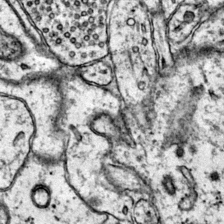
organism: Mouse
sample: Primary visual cortex